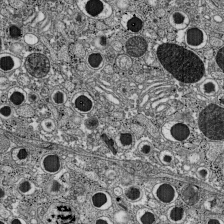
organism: C57BL Mouse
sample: Pancreatic islet